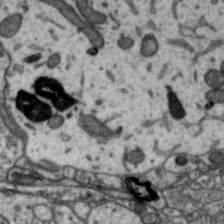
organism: Zebra finch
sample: Brain